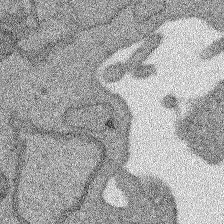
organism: Human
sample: HeLa cells